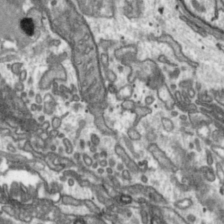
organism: Toxoplasma gondii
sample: Parasites in a vacuole inside a host cell